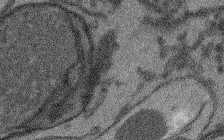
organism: Arabidopsis thaliana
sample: Root tip